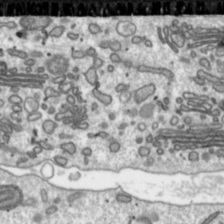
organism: Toxoplasma gondii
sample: Parasites in a vacuole inside a host cell